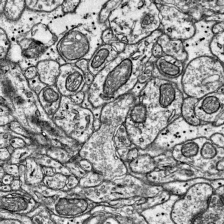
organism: Mouse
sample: Visual Cortex